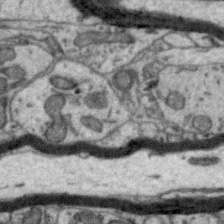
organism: Zebra finch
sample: Brain